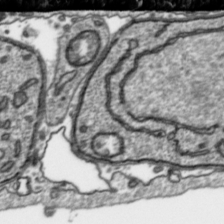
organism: Toxoplasma gondii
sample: Parasites in a vacuole inside a host cell